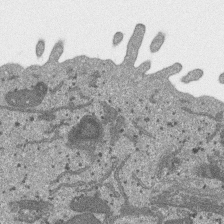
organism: Human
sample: Lung epithelial cells infected with SARS-CoV-2